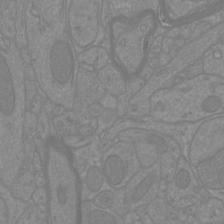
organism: Mouse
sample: Cortical neurons